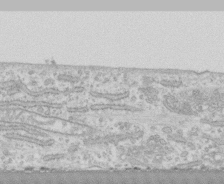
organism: Human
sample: CRL-1474